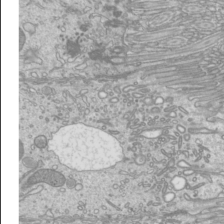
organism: Mouse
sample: Cilia; mouse epididymis